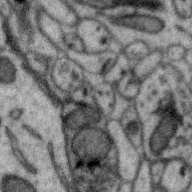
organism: Zebra finch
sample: Brain